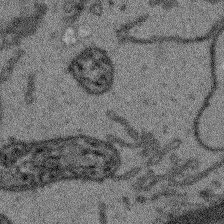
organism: Arabidopsis thaliana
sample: Root tip